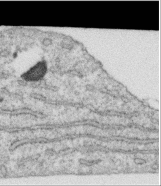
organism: Human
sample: Centriole in RPE cells